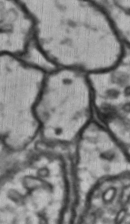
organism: Drosophila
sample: Brain